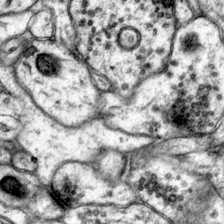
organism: Mouse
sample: Primary visual cortex